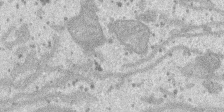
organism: Human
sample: Lung epithelial cells infected with SARS-CoV-2